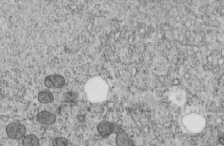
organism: C. elegans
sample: C. elegans embryo early stage